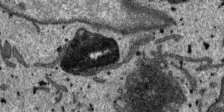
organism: Human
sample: Lung epithelial cells, uninfected (mock) control